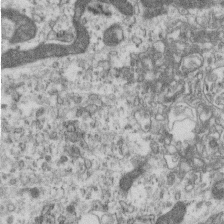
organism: Mouse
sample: Centriole in ependymal cells